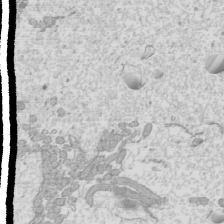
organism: Mouse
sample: Cilia; mouse epididymis